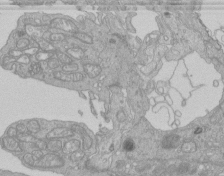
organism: Human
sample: Retinal organoid Rod and Cone cells